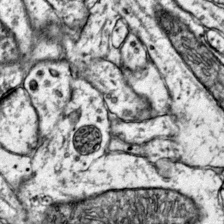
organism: Mouse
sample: Primary visual cortex